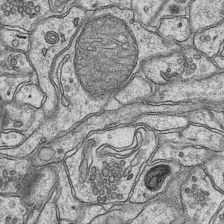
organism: Mouse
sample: CA1 Hippocampus